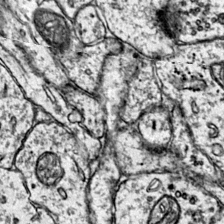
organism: Mouse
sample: Primary visual cortex